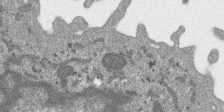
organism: Human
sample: Lung epithelial cells infected with SARS-CoV-2